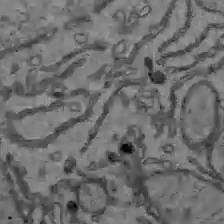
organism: C57BL Mouse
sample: Liver